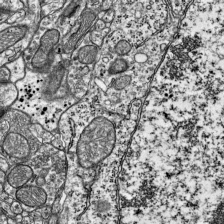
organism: Mouse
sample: Visual Cortex